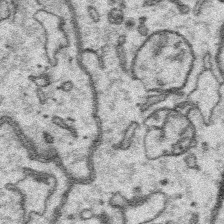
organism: Platynereis dumerilii